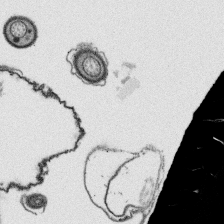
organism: Platynereis dumerilii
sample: Parapodia